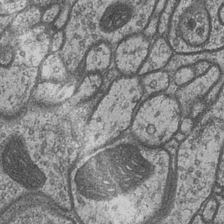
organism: Drosophila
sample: Optic medulla